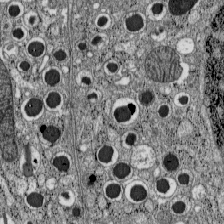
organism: C57BL Mouse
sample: Pancreatic islet